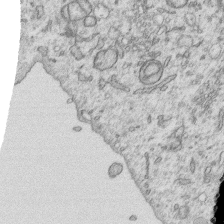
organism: Human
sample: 1205lu cells